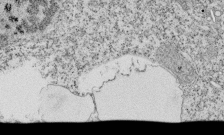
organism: Tetrahymena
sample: Cilia in tetrahymena